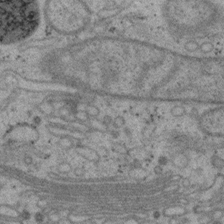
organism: Human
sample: HeLa cells